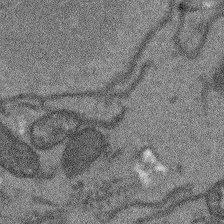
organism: Arabidopsis thaliana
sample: Root tip